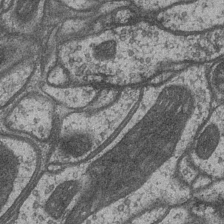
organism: Drosophila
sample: Optic medulla